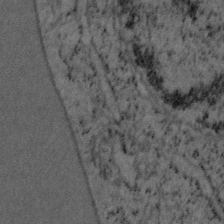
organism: Human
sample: HeLa cells